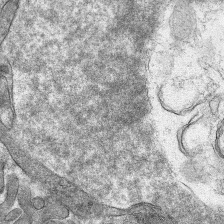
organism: Mouse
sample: Mouse hepatocytes